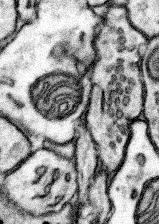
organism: Mouse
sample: Somatosensory cortex neuropil